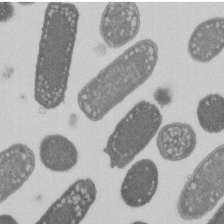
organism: E. coli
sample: Bacterial nucleoid